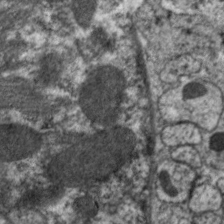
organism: C. elegans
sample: Pharynx